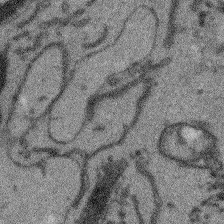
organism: Arabidopsis thaliana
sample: Root tip